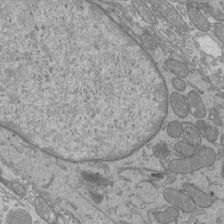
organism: Mouse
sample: Cilia; mouse epididymis